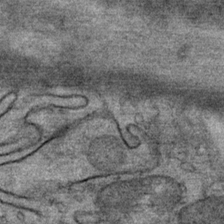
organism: Mouse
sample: Mouse Salivary gland